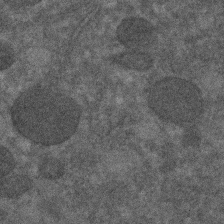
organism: C. elegans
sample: C. elegans embryo